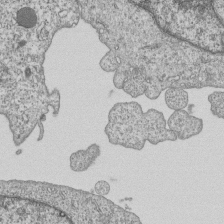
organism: Human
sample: MDA-MB-231 cells